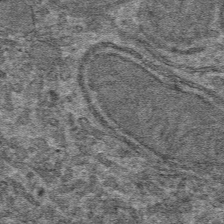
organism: Mouse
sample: Mouse hepatocytes